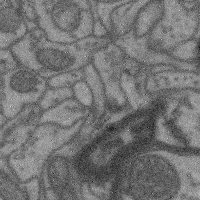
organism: Mouse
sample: Cerebral cortex